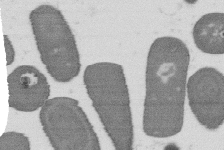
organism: B. subtilis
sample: Bacterial spore